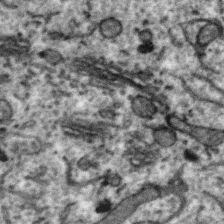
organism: Zebra finch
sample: Brain